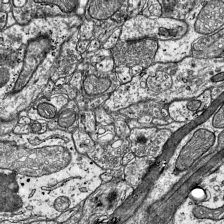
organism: Mouse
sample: Visual Cortex